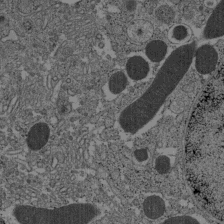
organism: C57BL Mouse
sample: Pancreatic islet